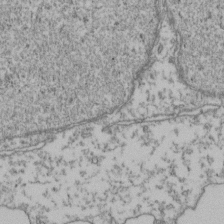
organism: Human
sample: Activated Jurkat CD4+ T cells